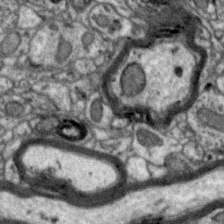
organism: Zebra finch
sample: Brain